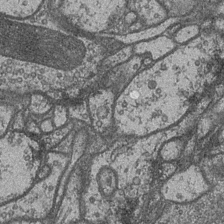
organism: Drosophila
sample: Optic medulla